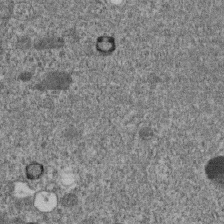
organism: C. elegans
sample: C. elegans embryo early stage